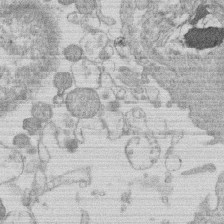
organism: Human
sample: Macrophage cells